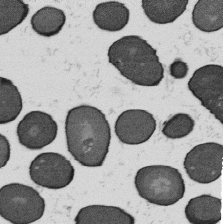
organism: B. subtilis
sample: Bacterial spore